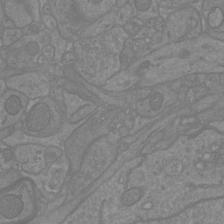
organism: Mouse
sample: Cortical neurons